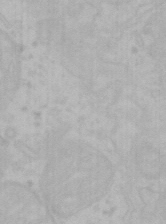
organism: Mouse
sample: Choroid plexus